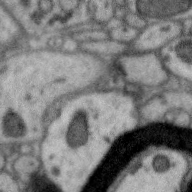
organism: Zebra finch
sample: Brain